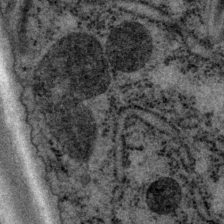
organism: P. pacificus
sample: Pharynx